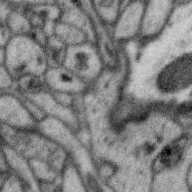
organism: Zebra finch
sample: Brain